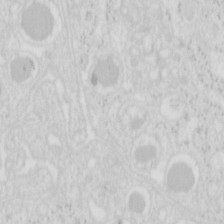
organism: Mouse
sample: Pancreas